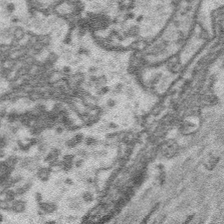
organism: Platynereis dumerilii